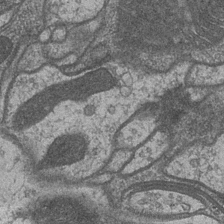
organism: Drosophila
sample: Optic medulla